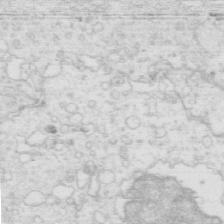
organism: Mouse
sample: Multiciliated cells